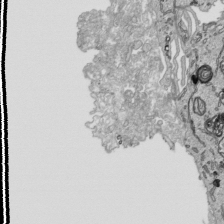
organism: Human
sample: Mitochondria in HCT116 cells